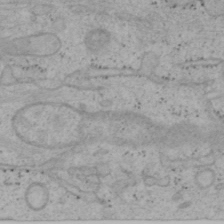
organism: Human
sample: HeLa cells